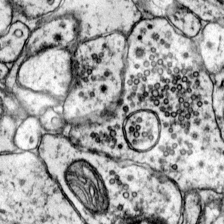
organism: Mouse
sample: Primary visual cortex